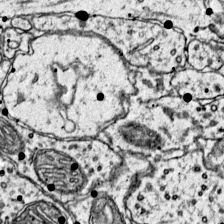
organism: Mouse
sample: Primary visual cortex